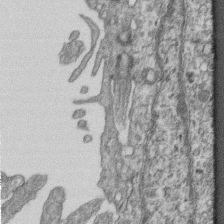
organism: Mouse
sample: Centriole in ependymal cells